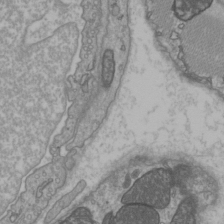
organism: C57BL Mouse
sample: Heart